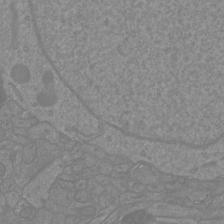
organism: Mouse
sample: Cortical neurons